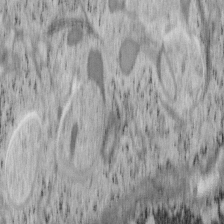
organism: Human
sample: HeLa cells